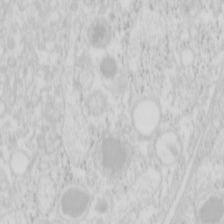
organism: Mouse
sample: Pancreas